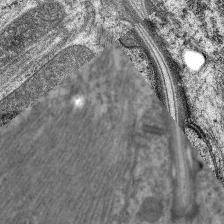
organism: C. elegans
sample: Pharynx